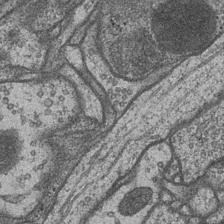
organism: Drosophila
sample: Optic medulla